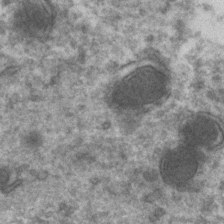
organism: Zebrafish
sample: Zebrafish embryo